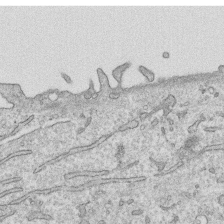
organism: Human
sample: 1205lu cells